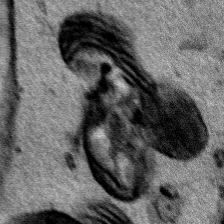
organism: Human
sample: Mitochondria in HCT116 cells